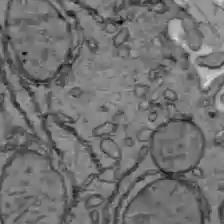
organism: C57BL Mouse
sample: Liver